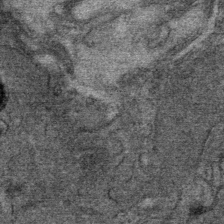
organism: Mouse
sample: Mouse Salivary gland